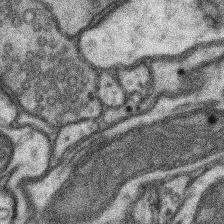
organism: Mouse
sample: Somatosensory cortex neuropil